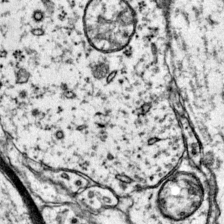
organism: Mouse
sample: Primary visual cortex